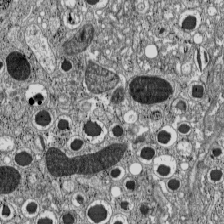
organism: C57BL Mouse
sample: Pancreatic islet